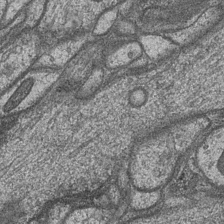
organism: Drosophila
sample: Optic medulla